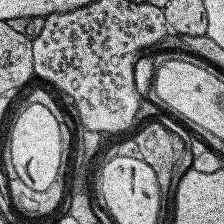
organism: Human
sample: Temporal Lobe